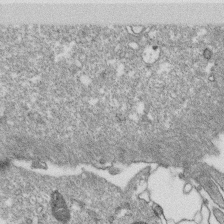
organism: African green monkey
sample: Vero E6 cells infected with SARS-CoV-2